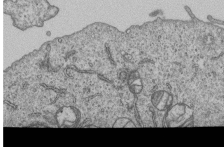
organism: Human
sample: MDA-MB-231 cells